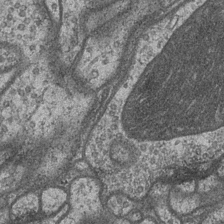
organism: Drosophila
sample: Optic medulla